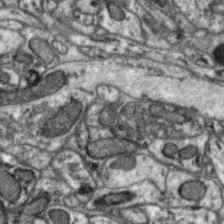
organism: Zebra finch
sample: Brain